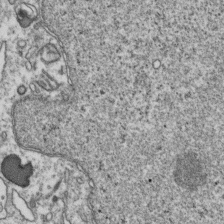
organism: Human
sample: Activated Jurkat CD4+ T cells